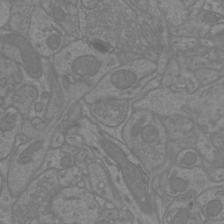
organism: Mouse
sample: Cortical neurons